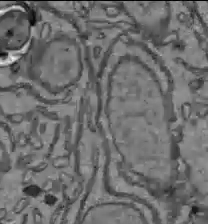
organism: C57BL Mouse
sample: Liver